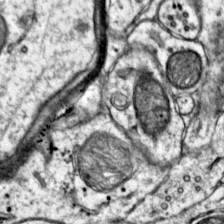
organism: Mouse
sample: Primary visual cortex